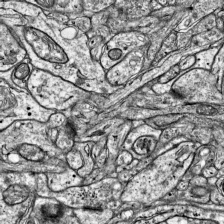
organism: Mouse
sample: Visual Cortex